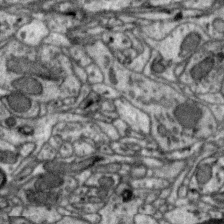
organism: Zebra finch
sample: Brain